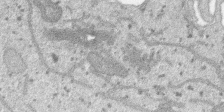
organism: Human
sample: Lung epithelial cells infected with SARS-CoV-2